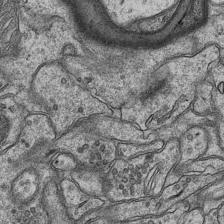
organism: Mouse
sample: CA1 Hippocampus